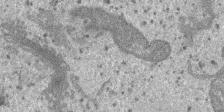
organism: Human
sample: Lung epithelial cells infected with SARS-CoV-2